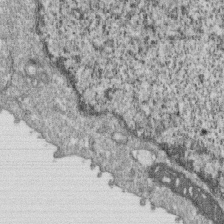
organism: African green monkey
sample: Vero E6 cells infected with SARS-CoV-2